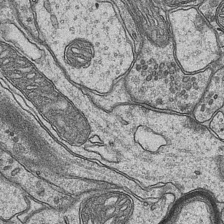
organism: Mouse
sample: CA1 Hippocampus